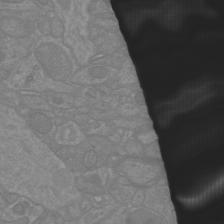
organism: Mouse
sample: Cortical neurons